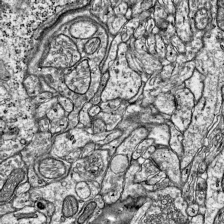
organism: Mouse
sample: Visual Cortex